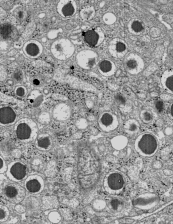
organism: C57BL Mouse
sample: Pancreatic islet